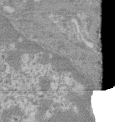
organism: Mouse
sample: Glomerulus